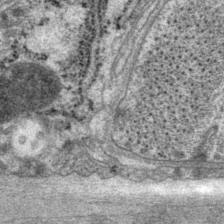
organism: P. pacificus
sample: Pharynx